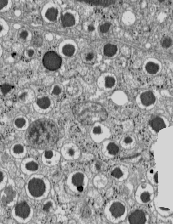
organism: C57BL Mouse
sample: Pancreatic islet